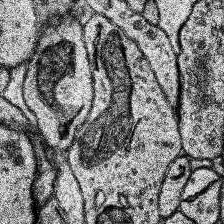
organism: Human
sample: Temporal Lobe